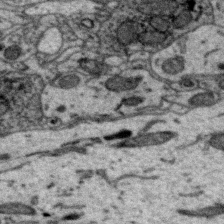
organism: Zebra finch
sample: Brain